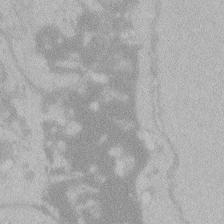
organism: Zebrafish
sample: Macrophage infected with Toxoplasma gondii